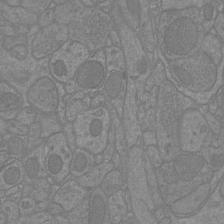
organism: Mouse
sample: Cortical neurons